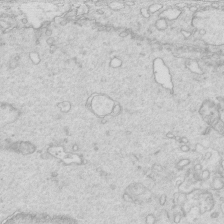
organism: Mouse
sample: Multiciliated cells